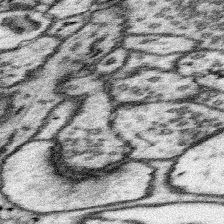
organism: Mouse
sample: Somatosensory cortex neuropil